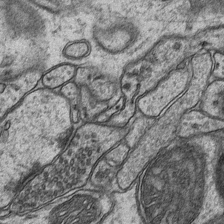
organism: Mouse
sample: CA1 Hippocampus